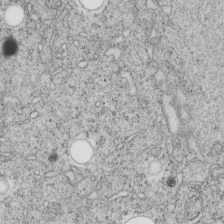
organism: C. elegans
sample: C. elegans embryo early stage